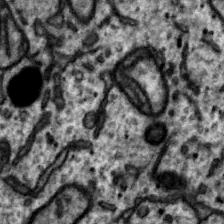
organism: Human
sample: HeLa cells